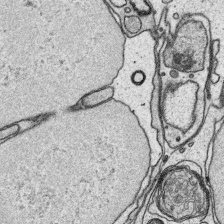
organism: Platynereis dumerilii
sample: Parapodia